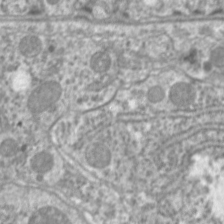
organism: C. elegans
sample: Pharynx